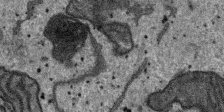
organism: Human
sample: Lung epithelial cells, uninfected (mock) control